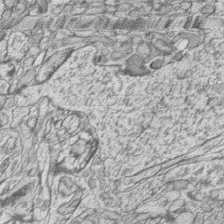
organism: Zebrafish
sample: synaptic ribbons in rod cells and cone cells